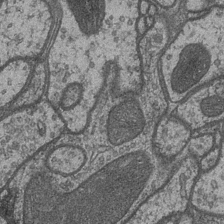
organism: Drosophila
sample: Optic medulla